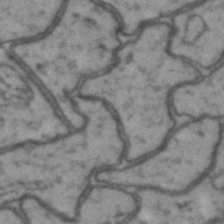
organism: Drosophila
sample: Brain